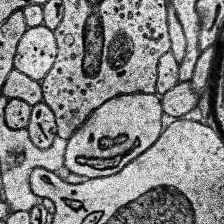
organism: Human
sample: Temporal Lobe